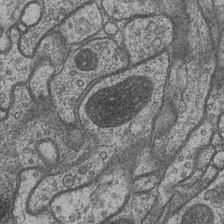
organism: Drosophila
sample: Optic medulla